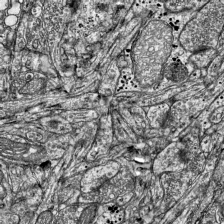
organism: Mouse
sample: Visual Cortex